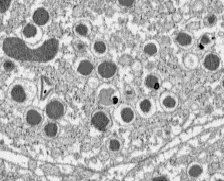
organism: C57BL Mouse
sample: Pancreatic islet